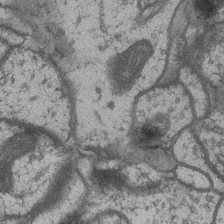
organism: Drosophila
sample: Optic medulla